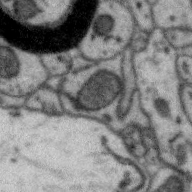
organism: Zebra finch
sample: Brain